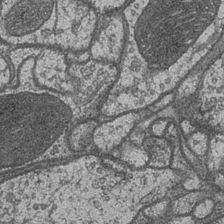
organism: Drosophila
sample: Optic medulla